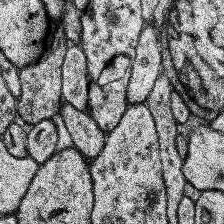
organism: Human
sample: Temporal Lobe